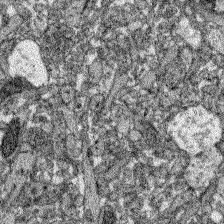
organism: Zebrafish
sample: Larval olfactory bulb